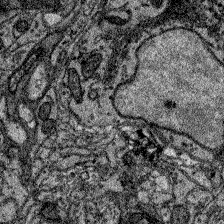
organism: Zebrafish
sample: Larval olfactory bulb